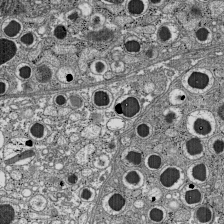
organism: C57BL Mouse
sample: Pancreatic islet